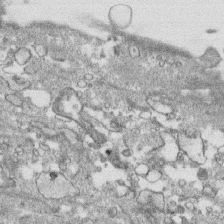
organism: Human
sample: CRL-1474